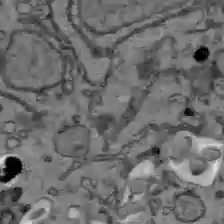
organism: C57BL Mouse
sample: Liver